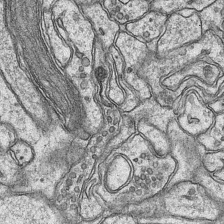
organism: Mouse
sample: CA1 Hippocampus